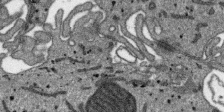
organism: Human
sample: Lung epithelial cells, uninfected (mock) control